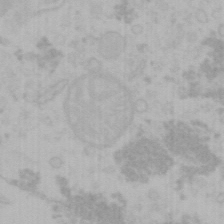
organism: Mouse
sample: Choroid plexus